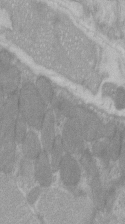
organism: C57BL Mouse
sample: Tibialis anterior muscle cell